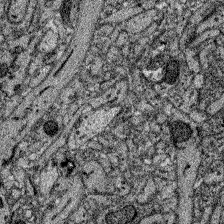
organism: Zebrafish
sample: Larval olfactory bulb